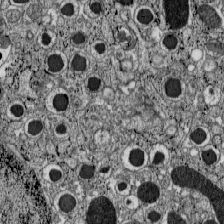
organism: C57BL Mouse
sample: Pancreatic islet